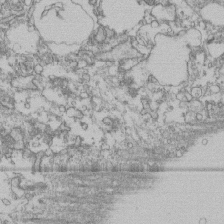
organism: Human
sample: Fibroblast cells